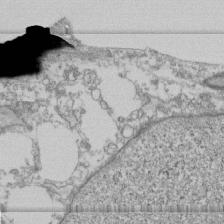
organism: Human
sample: Fibroblast cells